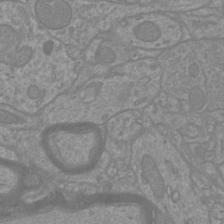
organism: Mouse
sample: Cortical neurons